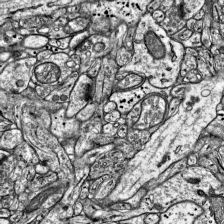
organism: Mouse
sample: Visual Cortex